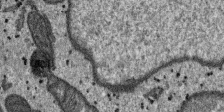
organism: Human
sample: Lung epithelial cells, uninfected (mock) control